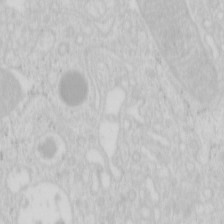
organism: Mouse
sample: Pancreas